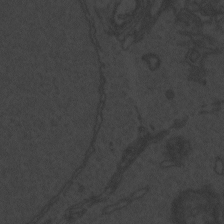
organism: Zebrafish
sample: Macrophage infected with Toxoplasma gondii